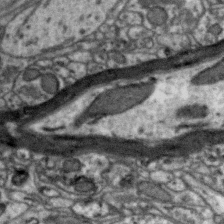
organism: Zebra finch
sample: Brain